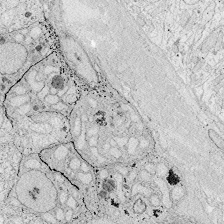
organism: Zebrafish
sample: Whole-Brain